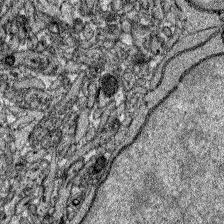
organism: Zebrafish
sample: Larval olfactory bulb